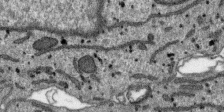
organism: Human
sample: Lung epithelial cells, uninfected (mock) control